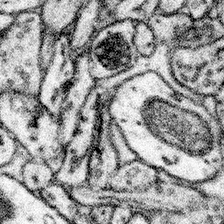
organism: Mouse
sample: Somatosensory cortex neuropil